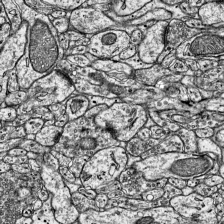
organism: Mouse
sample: Visual Cortex